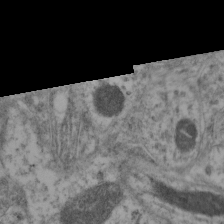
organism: Mouse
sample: Neocortex